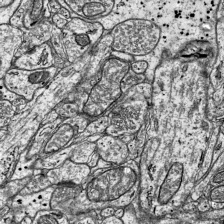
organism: Mouse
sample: Visual Cortex